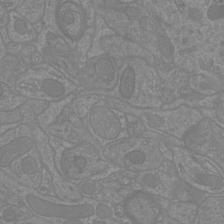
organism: Mouse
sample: Cortical neurons